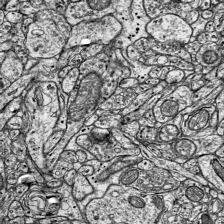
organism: Mouse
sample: Visual Cortex